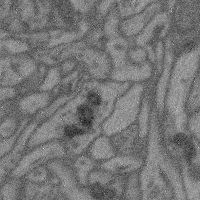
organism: Mouse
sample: Cerebral cortex